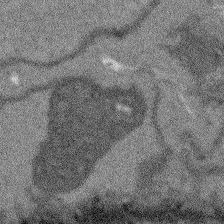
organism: Arabidopsis thaliana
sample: Root tip